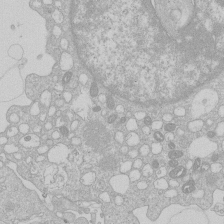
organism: Human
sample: Macrophage cells